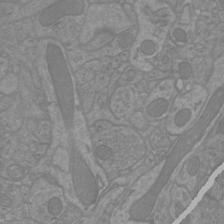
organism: Mouse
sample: Cortical neurons